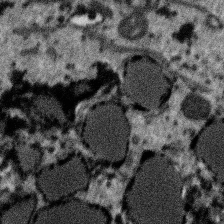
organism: Human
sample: Lung epithelial cells infected with SARS-CoV-2